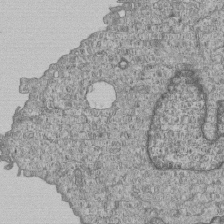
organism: Human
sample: MDA-MB-231 cells